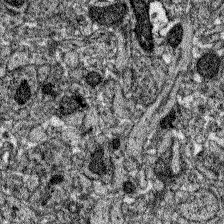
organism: Zebrafish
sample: Larval olfactory bulb